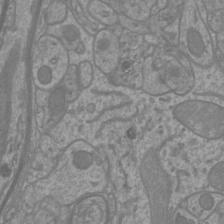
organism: Mouse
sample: Cortical neurons